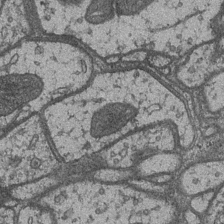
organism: Drosophila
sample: Optic medulla